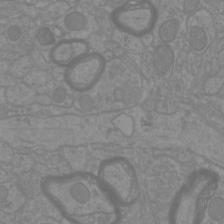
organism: Mouse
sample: Cortical neurons